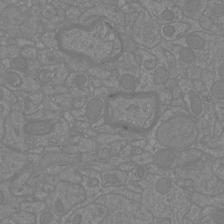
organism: Mouse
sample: Cortical neurons